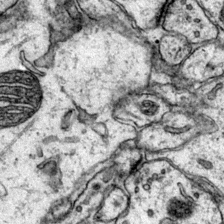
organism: Mouse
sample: Primary visual cortex